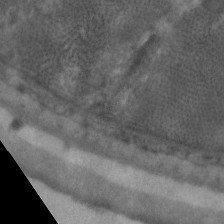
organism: C. elegans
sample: Pharynx